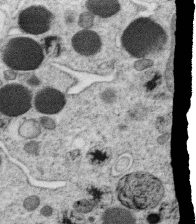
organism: C. elegans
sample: C. elegans oocyte; sperm cells